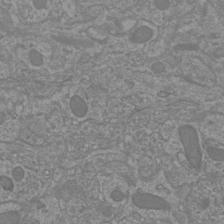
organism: Mouse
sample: Cortical neurons